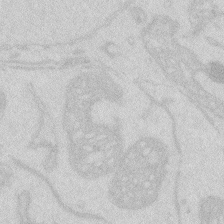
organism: Zebrafish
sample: Macrophage